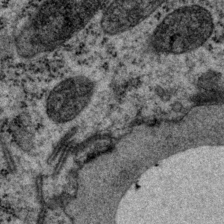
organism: P. pacificus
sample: Pharynx